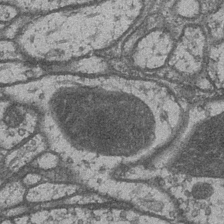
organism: Drosophila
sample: Optic medulla